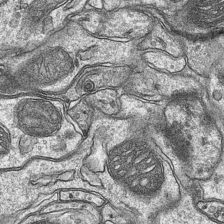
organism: Mouse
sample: CA1 Hippocampus